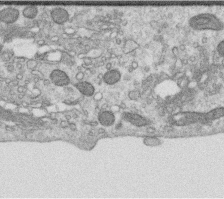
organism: Human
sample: Centriole in RPE cells